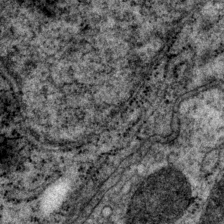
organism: P. pacificus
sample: Pharynx